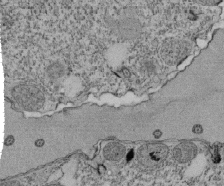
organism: Tetrahymena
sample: Cilia in tetrahymena